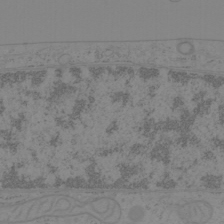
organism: Human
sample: HeLa cells